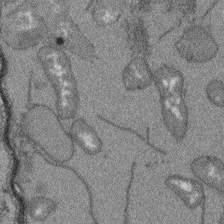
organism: Arabidopsis thaliana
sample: Root tip